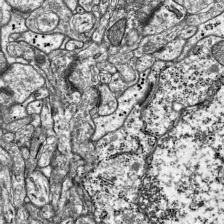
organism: Mouse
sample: Visual Cortex